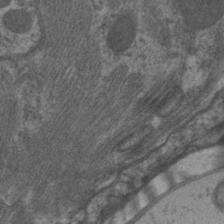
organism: C. elegans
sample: Pharynx